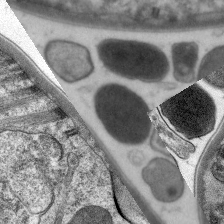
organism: C. elegans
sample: Pharynx